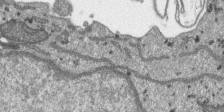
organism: Human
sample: Lung epithelial cells infected with SARS-CoV-2